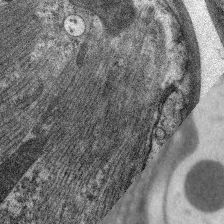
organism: C. elegans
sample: Pharynx